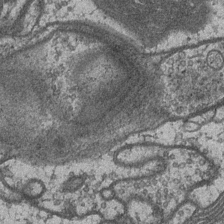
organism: Drosophila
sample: Optic medulla